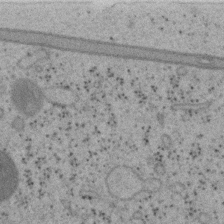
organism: Human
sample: HeLa cells